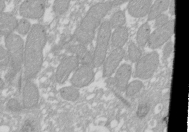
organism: Xenopus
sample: Cilia; centrioles in frog embryo cells